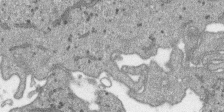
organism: Human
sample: Lung epithelial cells infected with SARS-CoV-2